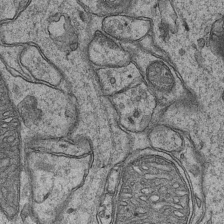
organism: Mouse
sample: CA1 Hippocampus